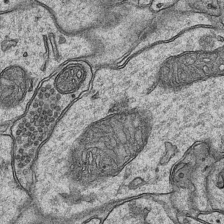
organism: Mouse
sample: CA1 Hippocampus